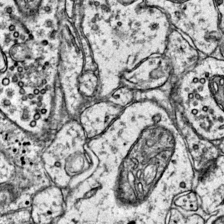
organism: Mouse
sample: Primary visual cortex